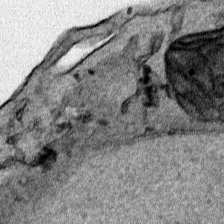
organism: Human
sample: Mitochondria in HCT116 cells